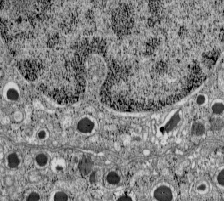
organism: C57BL Mouse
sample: Pancreatic islet